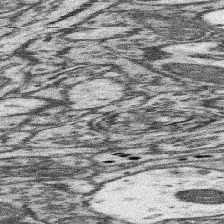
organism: Mouse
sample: Somatosensory cortex neuropil